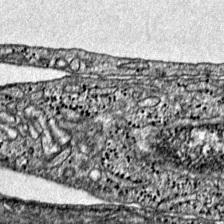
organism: Mouse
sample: Primary visual cortex